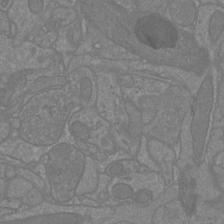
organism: Mouse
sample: Cortical neurons